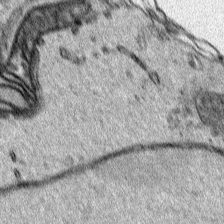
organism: Human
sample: Mitochondria in HCT116 cells